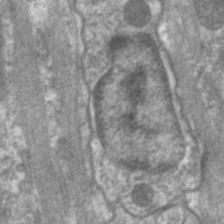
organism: C. elegans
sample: Pharynx